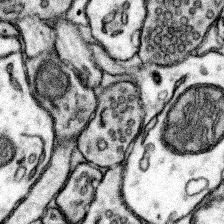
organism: Mouse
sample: Somatosensory cortex neuropil